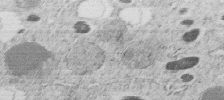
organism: C. elegans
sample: C. elegans embryo early stage